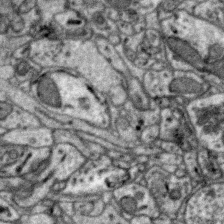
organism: Zebra finch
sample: Brain